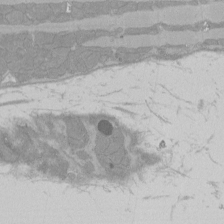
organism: Rat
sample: Left ventricle